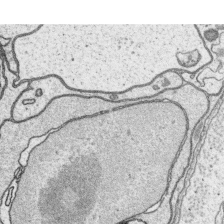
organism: Platynereis dumerilii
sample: Parapodia